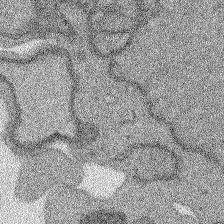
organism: Human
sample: HeLa cells